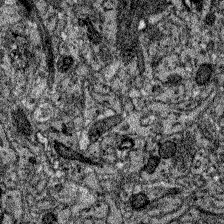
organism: Zebrafish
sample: Larval olfactory bulb